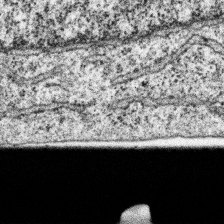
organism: Human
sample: HeLa cells